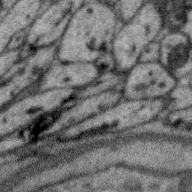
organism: Zebra finch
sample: Brain